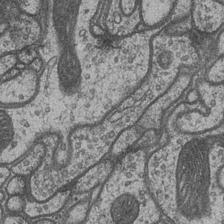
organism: Drosophila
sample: Optic medulla